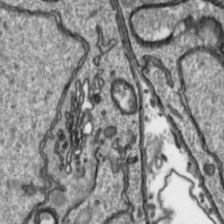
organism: Toxoplasma gondii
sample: Parasites in a vacuole inside a host cell